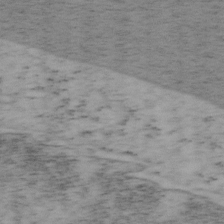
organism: Mouse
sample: OT-I killer T cells with ID8 ovarian cancer cells